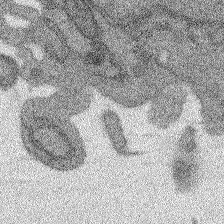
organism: Human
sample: HeLa cells